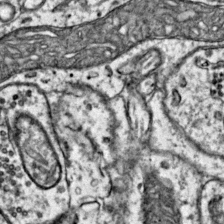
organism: Mouse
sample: Primary visual cortex